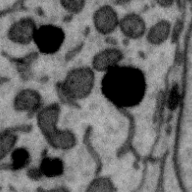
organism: Zebra finch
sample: Brain